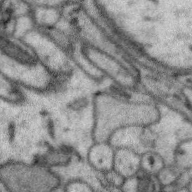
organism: Zebra finch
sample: Brain